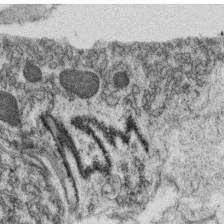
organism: C. elegans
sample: C. elegans oocyte; sperm cells